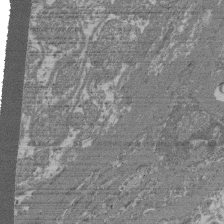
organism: Mouse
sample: Glomerulus